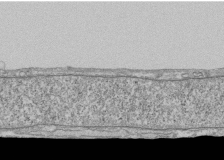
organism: Human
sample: Fibroblast cells